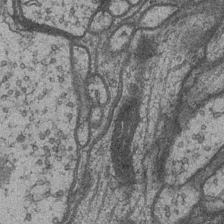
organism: Drosophila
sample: Optic medulla